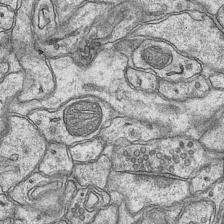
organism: Mouse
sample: CA1 Hippocampus